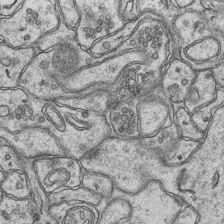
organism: Mouse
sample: CA1 Hippocampus